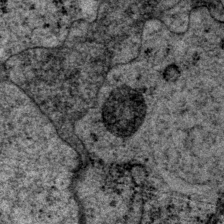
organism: P. pacificus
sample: Pharynx